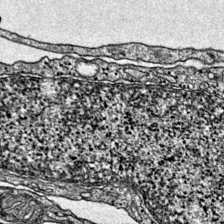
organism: Mouse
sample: Primary visual cortex